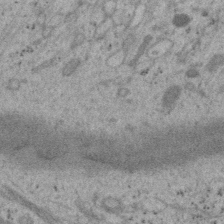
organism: Human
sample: HeLa cells